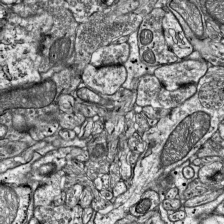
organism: Mouse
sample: Visual Cortex